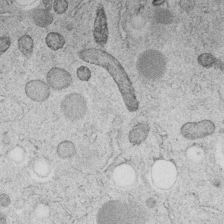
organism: C. elegans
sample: C. elegans embryo early stage